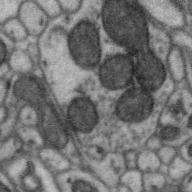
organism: Zebra finch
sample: Brain